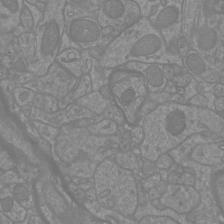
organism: Mouse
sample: Cortical neurons